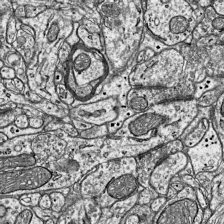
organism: Mouse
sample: Visual Cortex